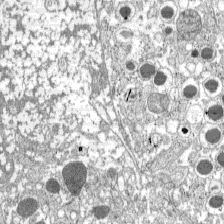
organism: C57BL Mouse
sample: Pancreatic islet